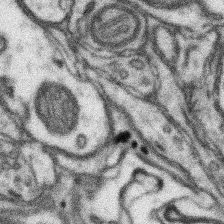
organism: Mouse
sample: Somatosensory cortex neuropil